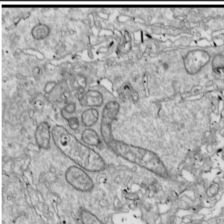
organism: Drosophila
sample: Cell division; meiosis; drosophila spermatocytes